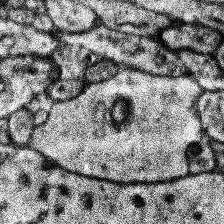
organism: Human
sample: Temporal Lobe